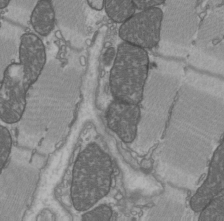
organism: C57BL Mouse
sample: Heart